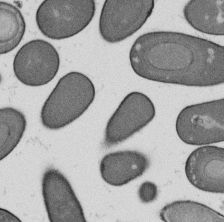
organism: B. subtilis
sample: Bacterial spore